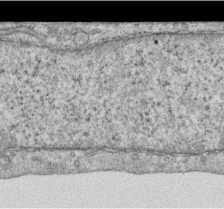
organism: Human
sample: Centriole in RPE cells